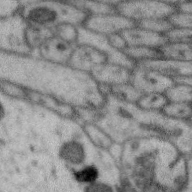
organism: Zebra finch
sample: Brain